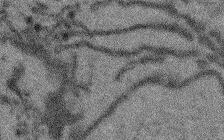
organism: Arabidopsis thaliana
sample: Root tip